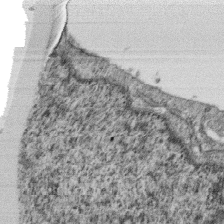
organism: African green monkey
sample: Vero E6 cells infected with SARS-CoV-2